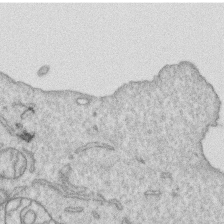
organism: Human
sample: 1205lu cells